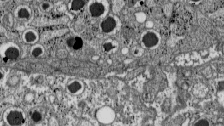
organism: C57BL Mouse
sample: Pancreatic islet